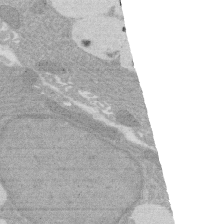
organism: Rat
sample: Salivary granule